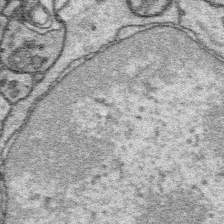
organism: Platynereis dumerilii